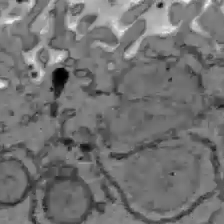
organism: C57BL Mouse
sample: Liver